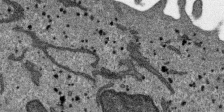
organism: Human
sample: Lung epithelial cells, uninfected (mock) control